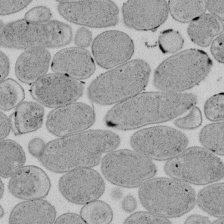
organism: E. coli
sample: Bacterial nucleoid